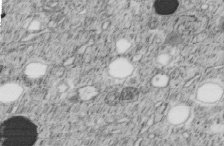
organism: C. elegans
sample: C. elegans embryo early stage